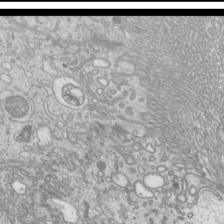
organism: Mouse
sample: Cilia; mouse epididymis